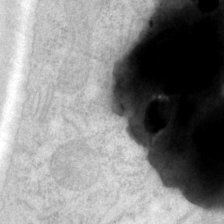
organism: P. pacificus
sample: Pharynx